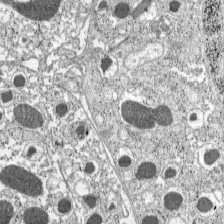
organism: C57BL Mouse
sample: Pancreatic islet